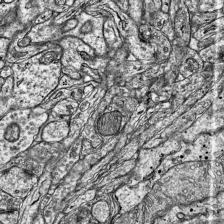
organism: Mouse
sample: Visual Cortex